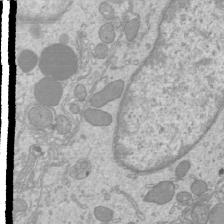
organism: Mouse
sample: Cilia; mouse epididymis